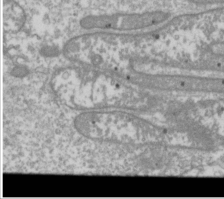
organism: Drosophila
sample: Cell division; meiosis; drosophila spermatocytes